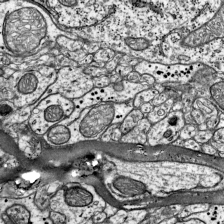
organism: Mouse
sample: Visual Cortex